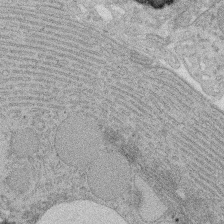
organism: Rat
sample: Salivary granule